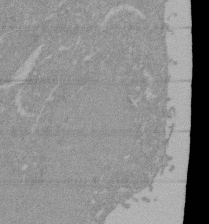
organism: Mouse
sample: ED-1 cell nuclei; centrioles